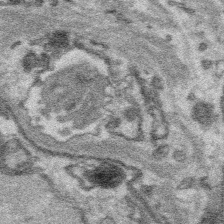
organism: Platynereis dumerilii